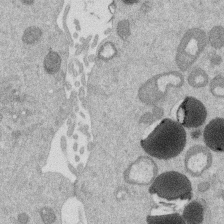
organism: Mouse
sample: Dividing mouse embryo 1 cell stage